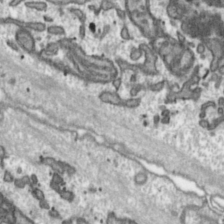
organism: Toxoplasma gondii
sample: Parasites in a vacuole inside a host cell